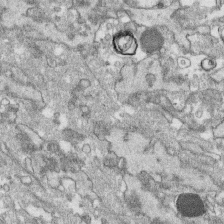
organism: Human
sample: CRL-1474